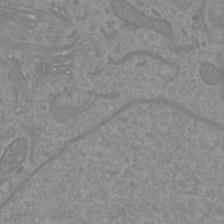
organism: Mouse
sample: Cortical neurons